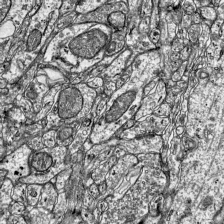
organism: Mouse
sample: Visual Cortex